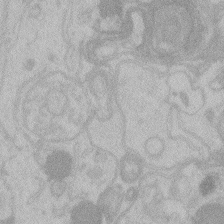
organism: Zebrafish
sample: Macrophage infected with Toxoplasma gondii